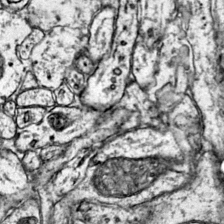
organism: Mouse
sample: Primary visual cortex